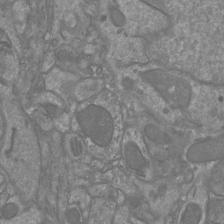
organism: Mouse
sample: Cortical neurons